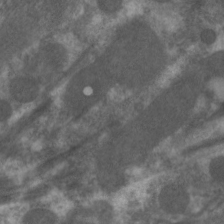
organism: C. elegans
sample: Pharynx